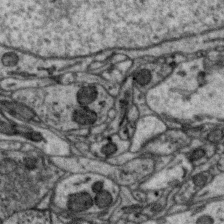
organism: Zebra finch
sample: Brain